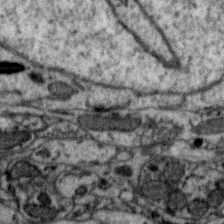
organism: Zebra finch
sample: Brain